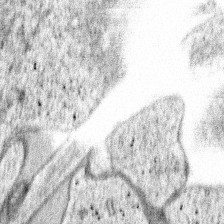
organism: Human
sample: HeLa cells